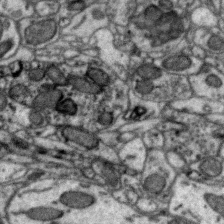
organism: Zebra finch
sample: Brain